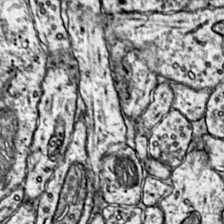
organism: Mouse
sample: Primary visual cortex